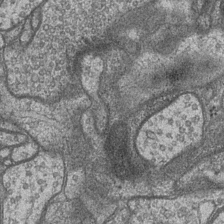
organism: Drosophila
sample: Optic medulla